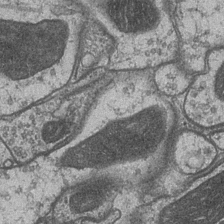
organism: Drosophila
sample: Optic medulla